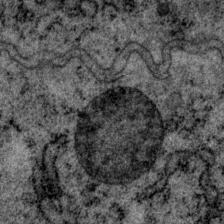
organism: P. pacificus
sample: Pharynx